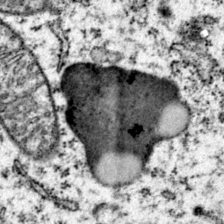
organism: Mouse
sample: Primary visual cortex